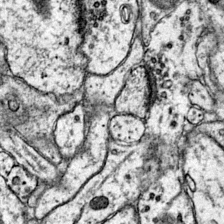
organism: Mouse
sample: Primary visual cortex